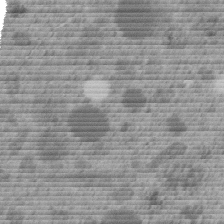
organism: C. elegans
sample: C. elegans embryo early stage